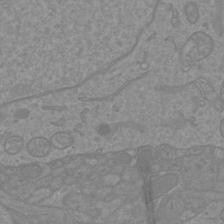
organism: Mouse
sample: Cortical neurons